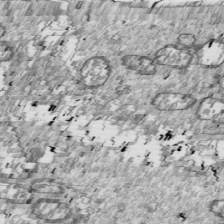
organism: Drosophila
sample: Cell division; meiosis; drosophila spermatocytes